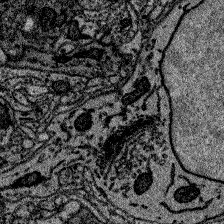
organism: Zebrafish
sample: Larval olfactory bulb